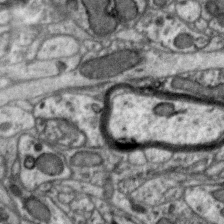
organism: Zebra finch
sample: Brain